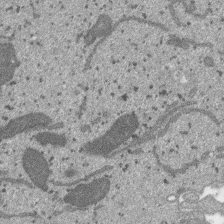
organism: Human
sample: Lung epithelial cells infected with SARS-CoV-2